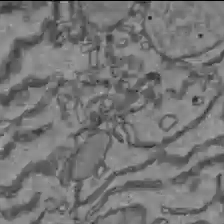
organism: C57BL Mouse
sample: Liver